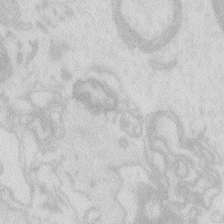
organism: Zebrafish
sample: Macrophage